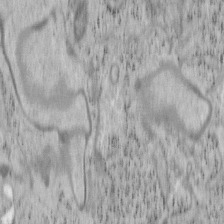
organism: Human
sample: HeLa cells